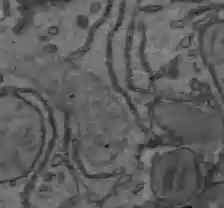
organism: C57BL Mouse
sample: Liver